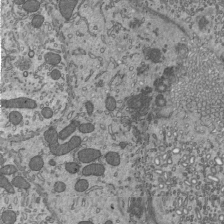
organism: Mouse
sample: Mouse epididymis efferent ductule cilia